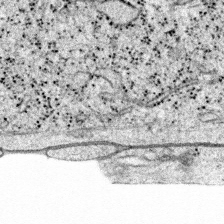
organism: Human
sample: HeLa cells